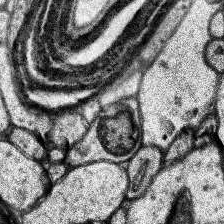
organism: Human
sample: Temporal Lobe